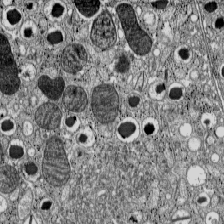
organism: C57BL Mouse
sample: Pancreatic islet